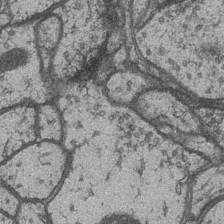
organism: Drosophila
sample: Optic medulla